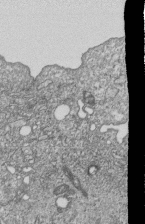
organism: Human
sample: MDA-MB-231 cells